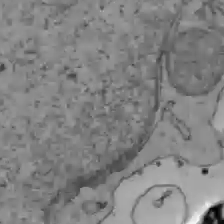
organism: C57BL Mouse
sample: Liver